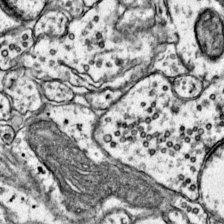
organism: Mouse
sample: Primary visual cortex